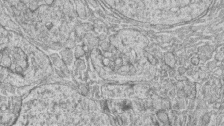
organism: Zebrafish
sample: synaptic ribbons in rod cells and cone cells